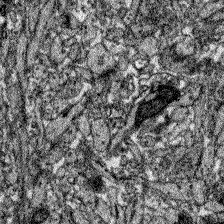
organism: Zebrafish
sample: Larval olfactory bulb